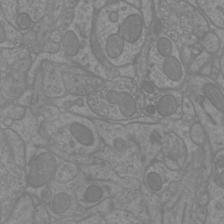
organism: Mouse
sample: Cortical neurons